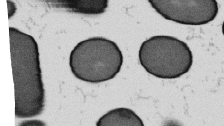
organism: B. subtilis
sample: Bacterial spore